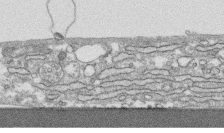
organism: Human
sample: CRL-1474